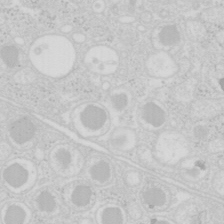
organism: Mouse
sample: Pancreas